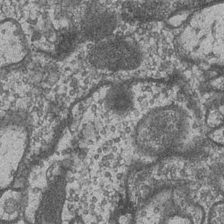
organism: Drosophila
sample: Optic medulla